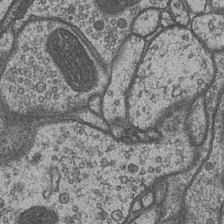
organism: Drosophila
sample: Optic medulla